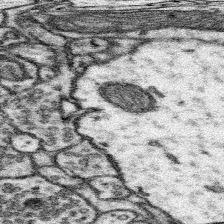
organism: Mouse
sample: Somatosensory cortex neuropil